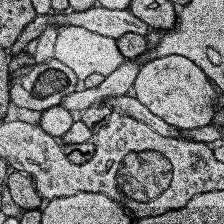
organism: Human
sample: Temporal Lobe